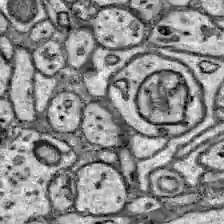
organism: Zebrafish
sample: Brain